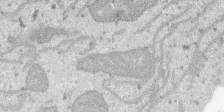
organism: Human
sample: Lung epithelial cells infected with SARS-CoV-2